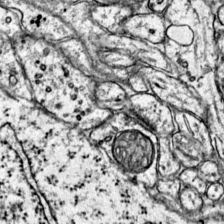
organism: Mouse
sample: Primary visual cortex